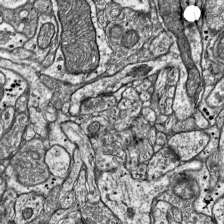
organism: Mouse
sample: Visual Cortex